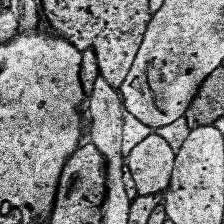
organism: Human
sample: Temporal Lobe